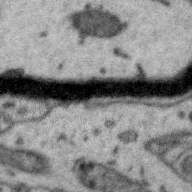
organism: Zebra finch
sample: Brain